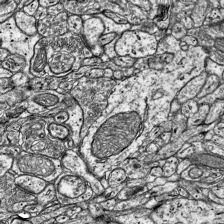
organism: Mouse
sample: Visual Cortex